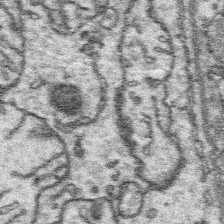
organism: Platynereis dumerilii